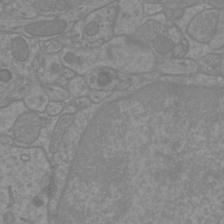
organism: Mouse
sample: Cortical neurons